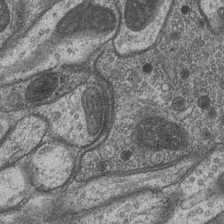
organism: Drosophila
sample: Optic medulla